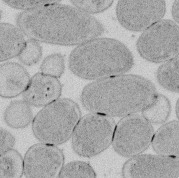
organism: E. coli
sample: Bacterial nucleoid